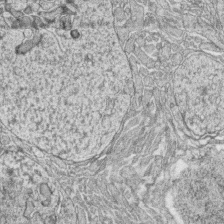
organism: Zebrafish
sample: synaptic ribbons in rod cells and cone cells